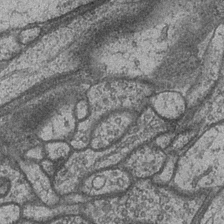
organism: Drosophila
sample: Optic medulla